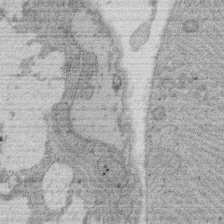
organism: Rat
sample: Salivary granule